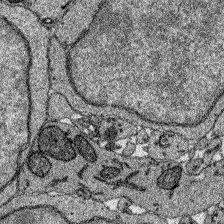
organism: Zebrafish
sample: Larval olfactory bulb